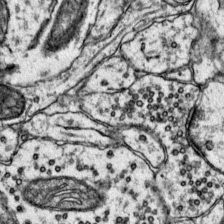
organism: Mouse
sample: Primary visual cortex